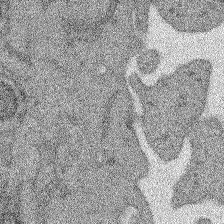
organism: Human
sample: HeLa cells